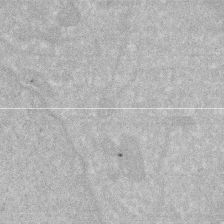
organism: Human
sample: HIV infected U937 cells